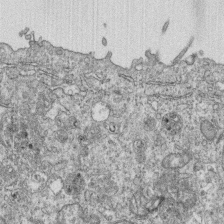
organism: Human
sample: HeLa cell HIV synapse